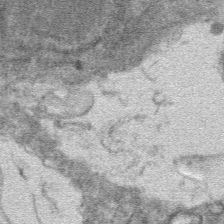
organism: Mouse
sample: Mouse hepatocytes